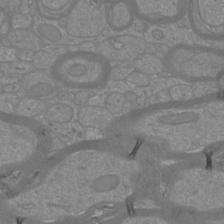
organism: Mouse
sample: Cortical neurons